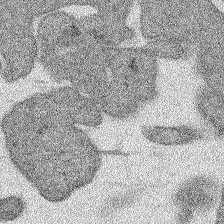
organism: Human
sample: HeLa cells